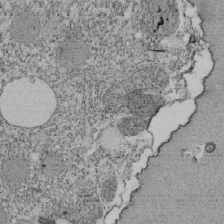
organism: Tetrahymena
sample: Cilia in tetrahymena